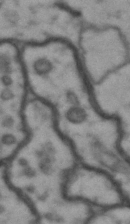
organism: Drosophila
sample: Brain